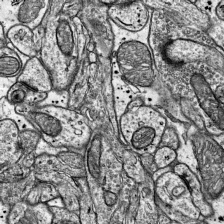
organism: Mouse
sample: Visual Cortex